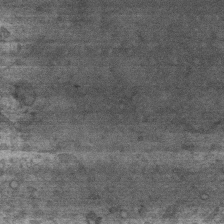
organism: Mouse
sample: Centriole in ependymal cells